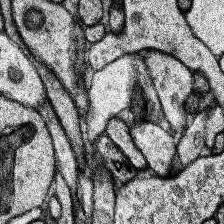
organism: Human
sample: Temporal Lobe